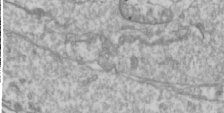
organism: Drosophila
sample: Cell division; meiosis; drosophila spermatocytes